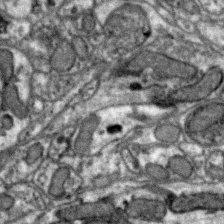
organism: Zebra finch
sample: Brain